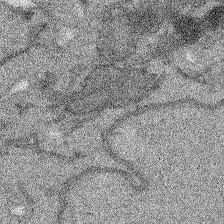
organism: Human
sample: HeLa cells